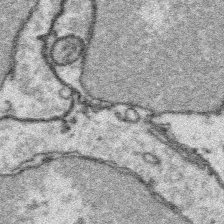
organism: Platynereis dumerilii